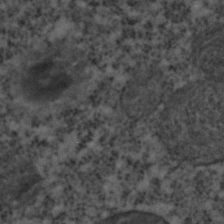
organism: C. elegans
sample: C. elegans embryo